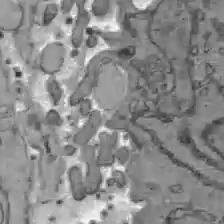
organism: C57BL Mouse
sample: Liver